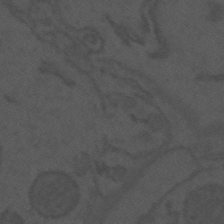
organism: Mouse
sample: Suprachiasmatic nucleus